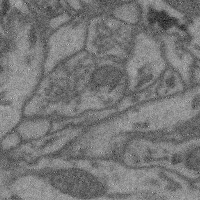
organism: Mouse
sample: Cerebral cortex